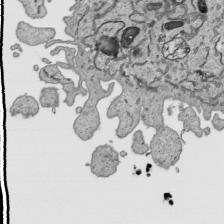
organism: Human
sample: Mitochondria in HCT116 cells